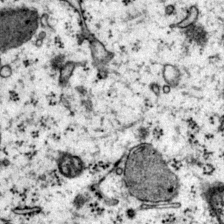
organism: Mouse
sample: Primary visual cortex